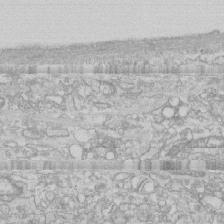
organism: Human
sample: CRL-1474